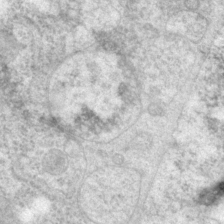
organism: P. pacificus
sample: Pharynx